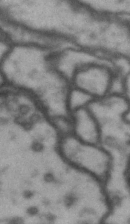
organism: Drosophila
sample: Brain